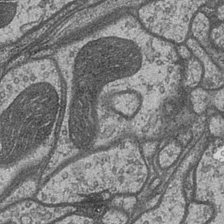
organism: Drosophila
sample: Optic medulla